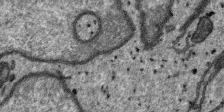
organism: Human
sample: Lung epithelial cells, uninfected (mock) control